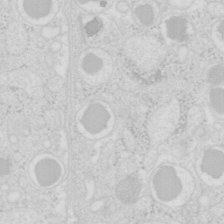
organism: Mouse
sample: Pancreas